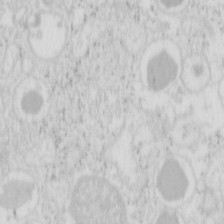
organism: Mouse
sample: Pancreas